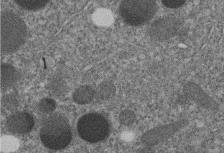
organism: C. elegans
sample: C. elegans embryo early stage